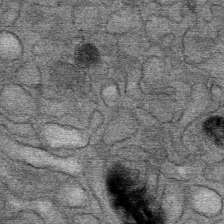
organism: Mouse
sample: Mouse Salivary gland